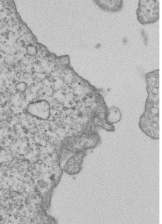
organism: Human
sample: MDA-MB-231 cells